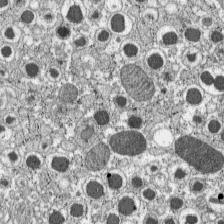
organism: C57BL Mouse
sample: Pancreatic islet